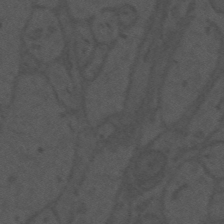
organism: Mouse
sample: Suprachiasmatic nucleus